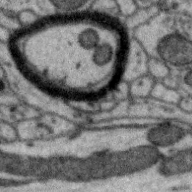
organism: Zebra finch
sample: Brain